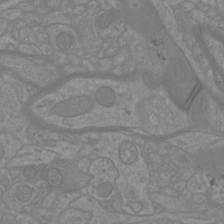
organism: Mouse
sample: Cortical neurons